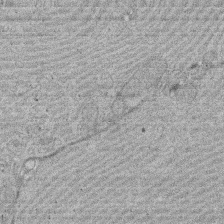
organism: Rat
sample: Salivary granule